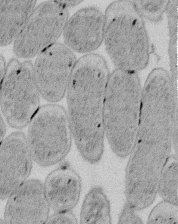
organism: E. coli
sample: Bacterial nucleoid